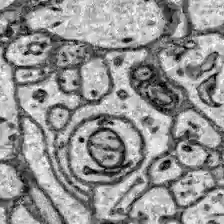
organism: Zebrafish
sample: Brain